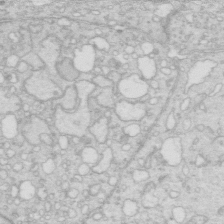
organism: Mouse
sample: Multiciliated cells